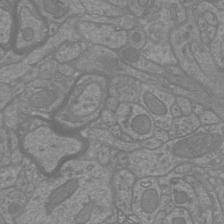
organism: Mouse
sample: Cortical neurons